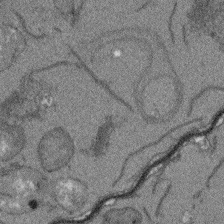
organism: Arabidopsis thaliana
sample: Root tip